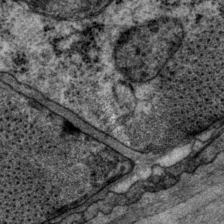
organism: P. pacificus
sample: Pharynx